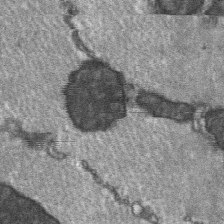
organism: C57BL Mouse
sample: Soleus